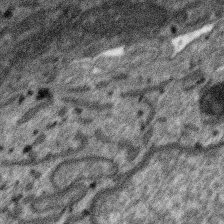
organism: Human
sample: Lung epithelial cells infected with SARS-CoV-2